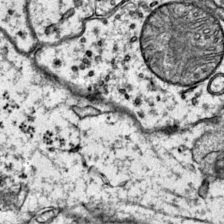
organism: Mouse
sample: Primary visual cortex